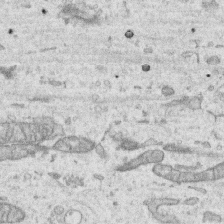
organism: Human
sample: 1205lu cells